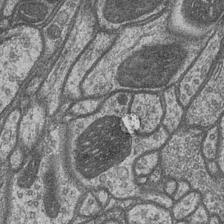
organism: Drosophila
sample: Optic medulla